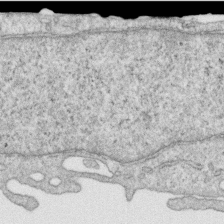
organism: Human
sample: Centriole in RPE cells